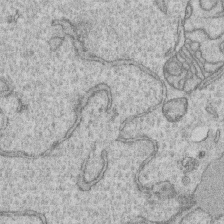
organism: Human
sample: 1205lu cells